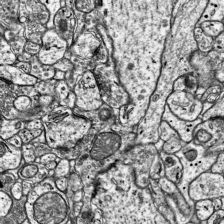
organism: Mouse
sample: Visual Cortex